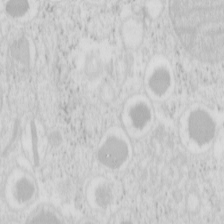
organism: Mouse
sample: Pancreas